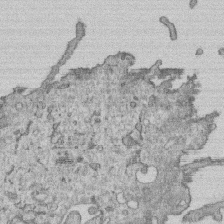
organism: Human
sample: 1205lu cells